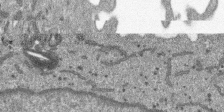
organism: Human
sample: Lung epithelial cells infected with SARS-CoV-2